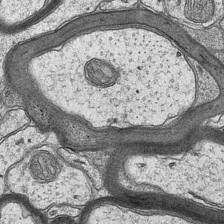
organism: Mouse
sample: CA1 Hippocampus